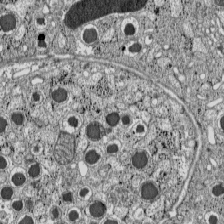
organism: C57BL Mouse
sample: Pancreatic islet